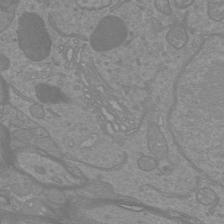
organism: Mouse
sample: Cortical neurons